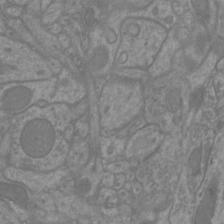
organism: Mouse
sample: Cortical neurons